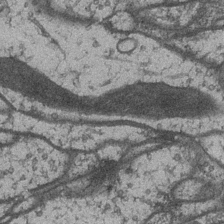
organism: Drosophila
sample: Optic medulla